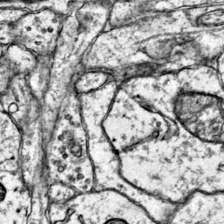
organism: Mouse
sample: Primary visual cortex